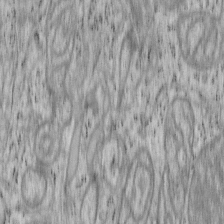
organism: Human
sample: HeLa cells